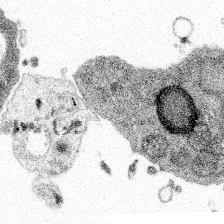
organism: Spongilla lacustris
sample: Multiple